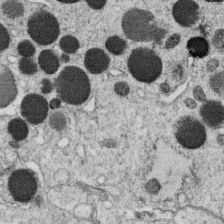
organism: C. elegans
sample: C. elegans oocyte; sperm cells